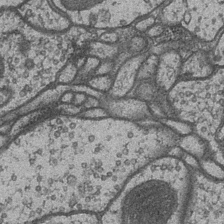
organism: Drosophila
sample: Optic medulla